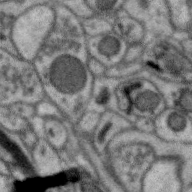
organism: Zebra finch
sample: Brain